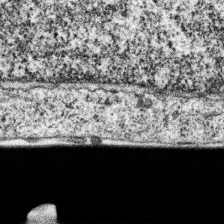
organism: Human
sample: HeLa cells